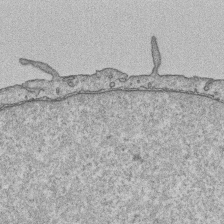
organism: Human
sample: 1205lu cells